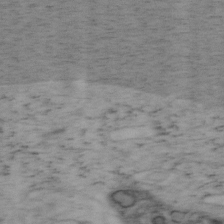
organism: Mouse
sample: OT-I killer T cells with ID8 ovarian cancer cells